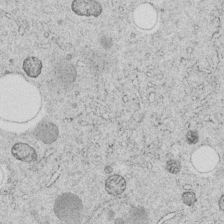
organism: C. elegans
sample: C. elegans embryo early stage